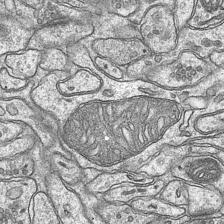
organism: Mouse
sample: CA1 Hippocampus